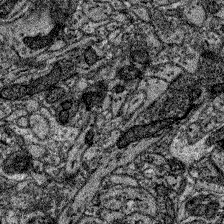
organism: Zebrafish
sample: Larval olfactory bulb